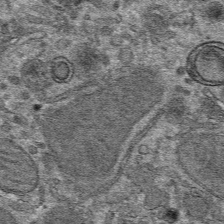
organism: Mouse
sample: Mouse hepatocytes